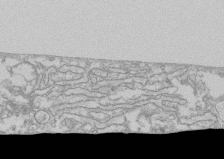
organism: Human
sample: CRL-1474